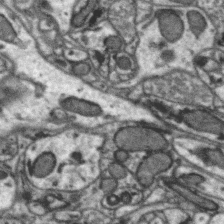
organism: Zebra finch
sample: Brain